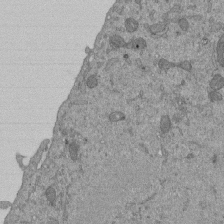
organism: Mouse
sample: ED-1 cell nuclei; centrioles